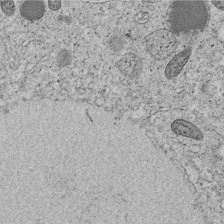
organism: C. elegans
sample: C. elegans embryo early stage